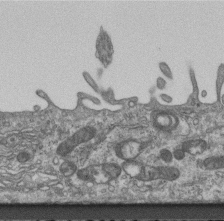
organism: Mouse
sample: Centriole in ependymal cells